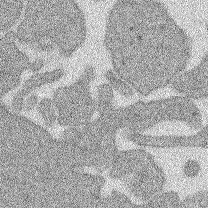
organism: Human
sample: HeLa cells